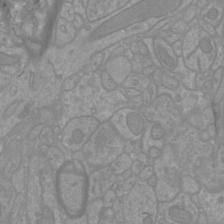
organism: Mouse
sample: Cortical neurons